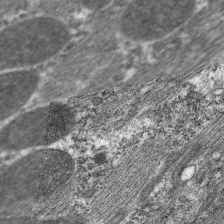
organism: C. elegans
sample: Pharynx